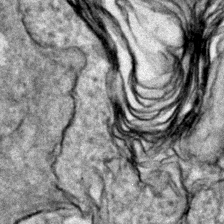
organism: Zebrafish